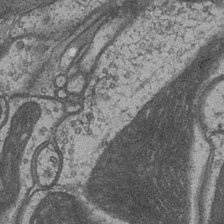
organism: Drosophila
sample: Optic medulla